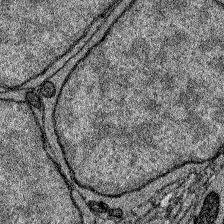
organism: Zebrafish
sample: Larval olfactory bulb